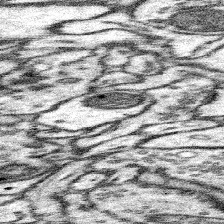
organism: Mouse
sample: Somatosensory cortex neuropil